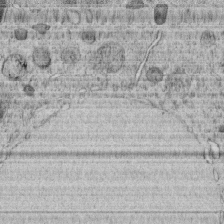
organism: C. elegans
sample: C. elegans embryo early stage